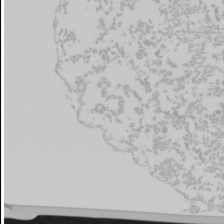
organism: Mouse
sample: Cancer cell death in ED-1 cells